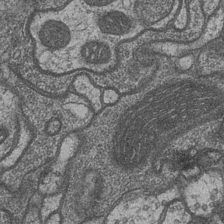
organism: Drosophila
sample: Optic medulla